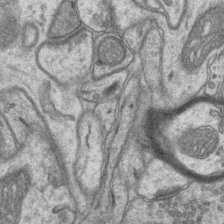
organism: Mouse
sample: CA1 Hippocampus